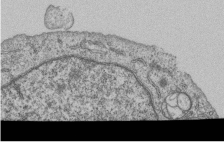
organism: Human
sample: MDA-MB-231 cells